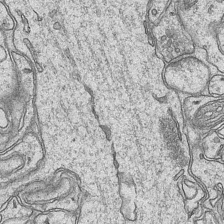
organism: Mouse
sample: CA1 Hippocampus